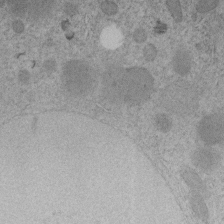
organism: C. elegans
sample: C. elegans embryo early stage